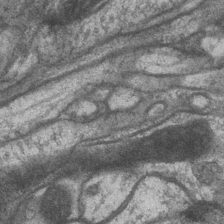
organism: Drosophila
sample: Optic medulla